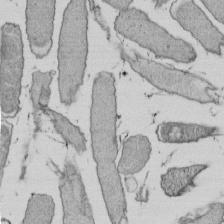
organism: E. coli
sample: Bacterial nucleoid